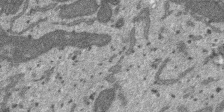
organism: Human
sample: Lung epithelial cells infected with SARS-CoV-2